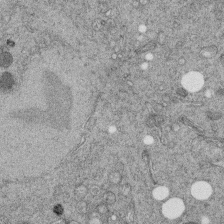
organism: C. elegans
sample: C. elegans embryo early stage